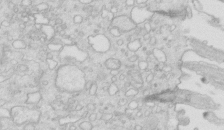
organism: Mouse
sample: Multiciliated cells